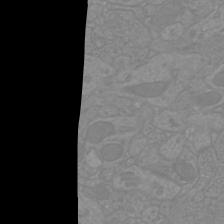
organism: Mouse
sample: Cortical neurons